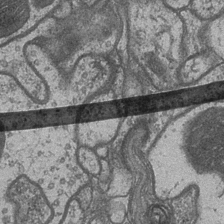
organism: Drosophila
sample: Optic medulla